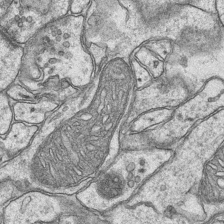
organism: Mouse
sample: CA1 Hippocampus